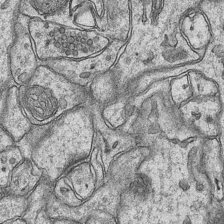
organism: Mouse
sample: CA1 Hippocampus